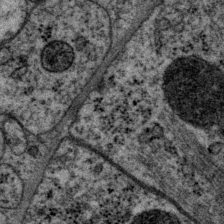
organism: P. pacificus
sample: Pharynx